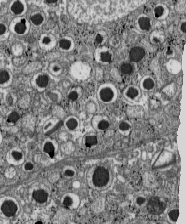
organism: C57BL Mouse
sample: Pancreatic islet